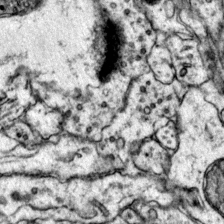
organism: Mouse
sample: Primary visual cortex